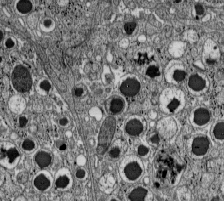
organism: C57BL Mouse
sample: Pancreatic islet